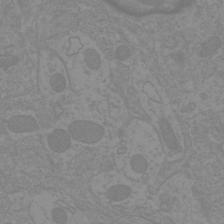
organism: Mouse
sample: Cortical neurons